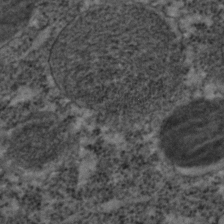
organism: C. elegans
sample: C. elegans embryo